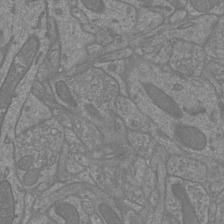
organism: Mouse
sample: Cortical neurons